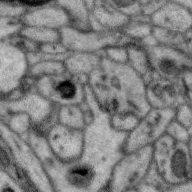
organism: Zebra finch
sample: Brain